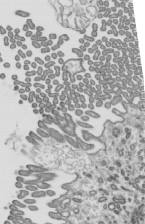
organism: Mouse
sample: Mouse epididymis efferent ductule cilia